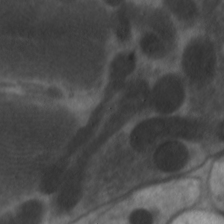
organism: C. elegans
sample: Pharynx